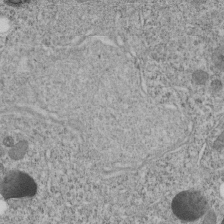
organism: C. elegans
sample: C. elegans embryo early stage